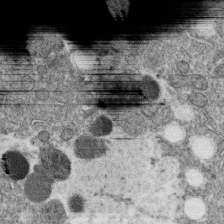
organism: C. elegans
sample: C. elegans oocyte; sperm cells